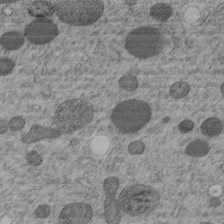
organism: C. elegans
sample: C. elegans embryo early stage